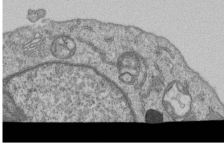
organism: Human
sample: MDA-MB-231 cells